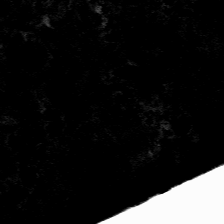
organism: Mouse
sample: Mouse hepatocytes